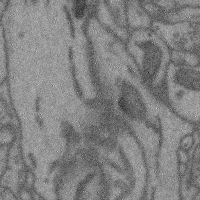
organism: Mouse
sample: Cerebral cortex